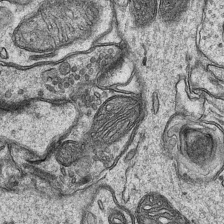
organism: Mouse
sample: CA1 Hippocampus